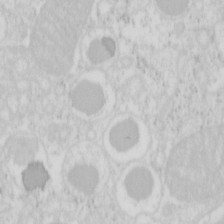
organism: Mouse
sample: Pancreas